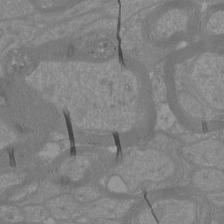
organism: Mouse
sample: Cortical neurons